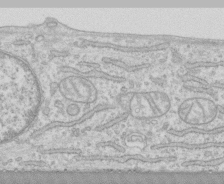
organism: Human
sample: CRL-1474